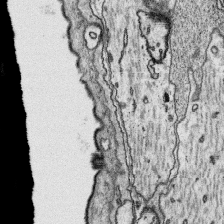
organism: Platynereis dumerilii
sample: Parapodia